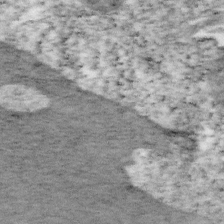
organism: Mouse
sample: OT-I killer T cells with ID8 ovarian cancer cells